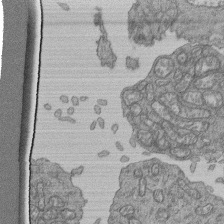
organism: Human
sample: Retinal organoid Rod and Cone cells